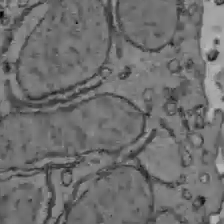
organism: C57BL Mouse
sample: Liver